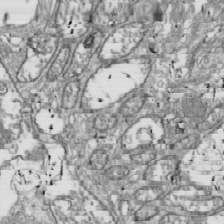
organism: Drosophila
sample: Cell division; meiosis; drosophila spermatocytes